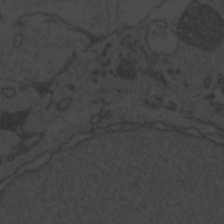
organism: Zebrafish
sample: Macrophage infected with Toxoplasma gondii